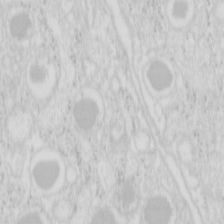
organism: Mouse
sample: Pancreas